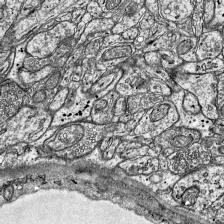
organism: Mouse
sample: Visual Cortex